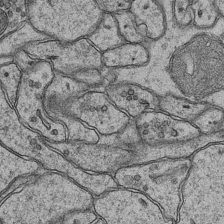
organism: Mouse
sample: CA1 Hippocampus